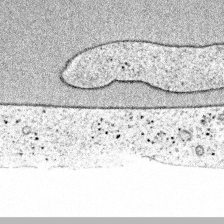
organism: Human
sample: HeLa cells